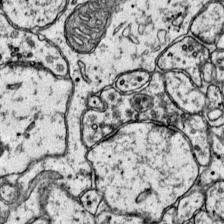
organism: Mouse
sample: Primary visual cortex